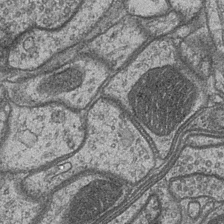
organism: Drosophila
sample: Optic medulla